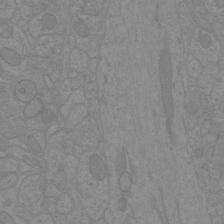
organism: Mouse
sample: Cortical neurons